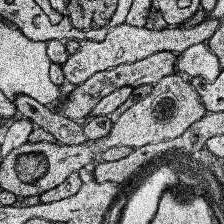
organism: Human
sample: Temporal Lobe